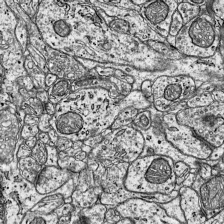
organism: Mouse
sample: Visual Cortex